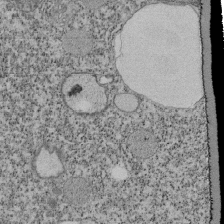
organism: Tetrahymena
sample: Cilia in tetrahymena